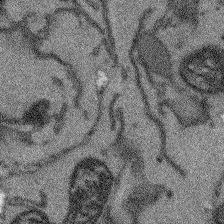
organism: Arabidopsis thaliana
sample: Root tip